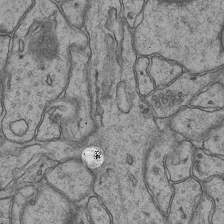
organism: Mouse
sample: CA1 Hippocampus